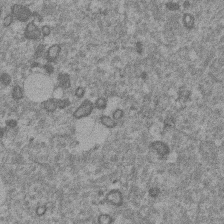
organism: Mouse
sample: Dividing mouse embryo 1 cell stage